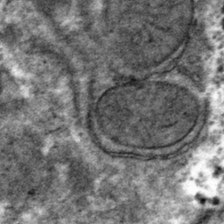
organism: Mouse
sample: Mouse hepatocytes